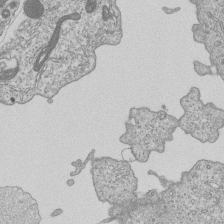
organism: Human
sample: MDA-MB-231 cells